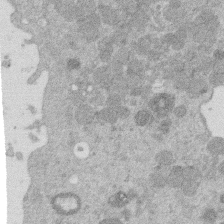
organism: Mouse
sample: Dividing mouse embryo 1 cell stage